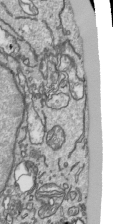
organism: Human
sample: Mitochondria in HCT116 cells